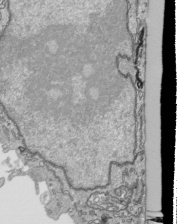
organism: Human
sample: Mitochondria in HCT116 cells